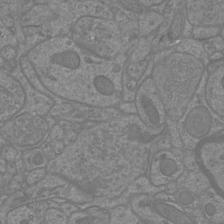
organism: Mouse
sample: Cortical neurons